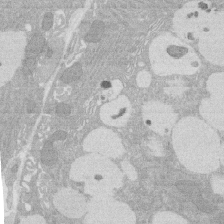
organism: Rat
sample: Salivary granule